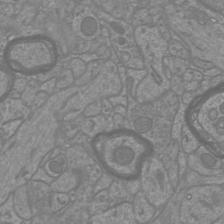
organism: Mouse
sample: Cortical neurons